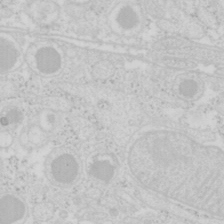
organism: Mouse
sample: Pancreas